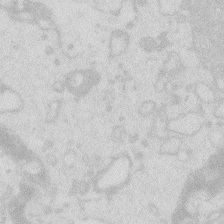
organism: Zebrafish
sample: Macrophage